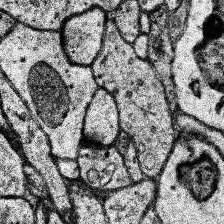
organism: Human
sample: Temporal Lobe